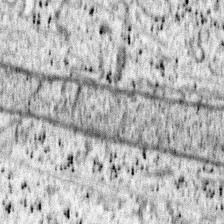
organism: Human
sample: HeLa cells